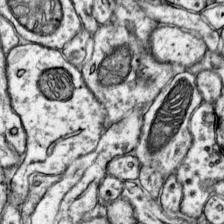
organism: Mouse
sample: Primary visual cortex